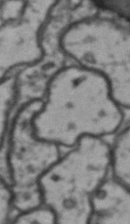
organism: Drosophila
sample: Brain